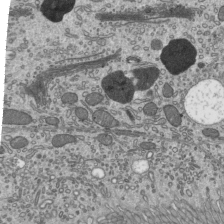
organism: Mouse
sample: Mouse epididymis efferent ductule cilia